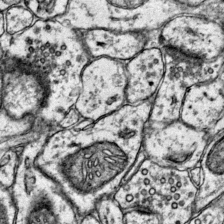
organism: Mouse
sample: Primary visual cortex